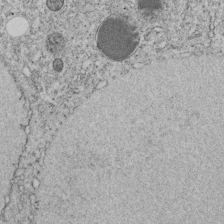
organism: C. elegans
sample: C. elegans embryo early stage